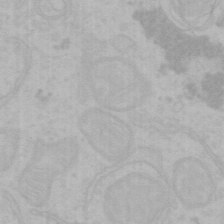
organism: Mouse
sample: Choroid plexus